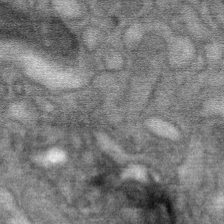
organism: Mouse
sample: Mouse Salivary gland